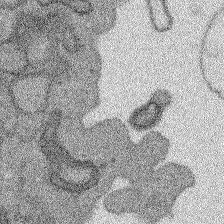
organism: Human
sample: HeLa cells